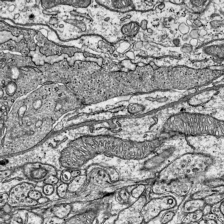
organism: Mouse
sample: Visual Cortex